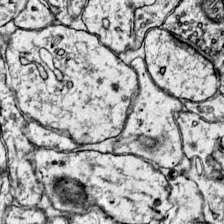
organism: Mouse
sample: Primary visual cortex